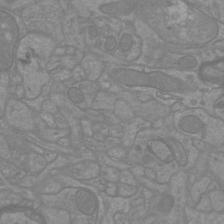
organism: Mouse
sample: Cortical neurons